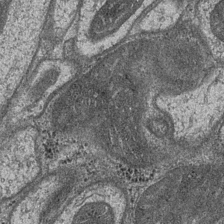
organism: Drosophila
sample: Optic medulla